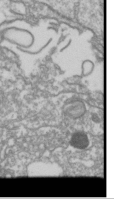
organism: Drosophila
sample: Cell division; meiosis; drosophila spermatocytes